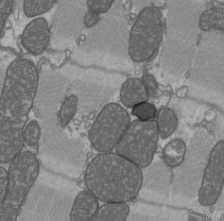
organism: C57BL Mouse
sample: Heart